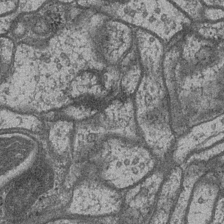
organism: Drosophila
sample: Optic medulla